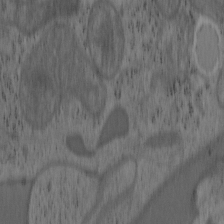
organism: Human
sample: HeLa cells